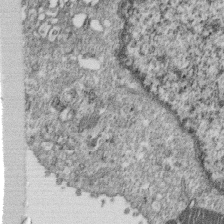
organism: African green monkey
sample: Vero E6 cells infected with SARS-CoV-2